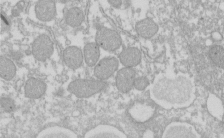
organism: Xenopus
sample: Cilia; centrioles in frog embryo cells